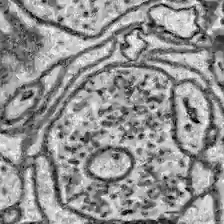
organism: Zebrafish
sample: Brain